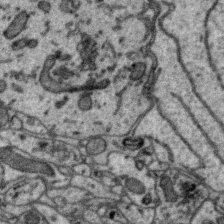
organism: Zebra finch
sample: Brain